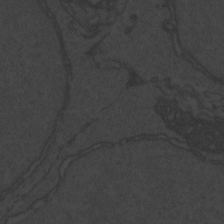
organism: Zebrafish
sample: Macrophage infected with Toxoplasma gondii